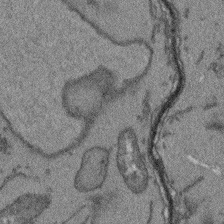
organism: Arabidopsis thaliana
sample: Root tip